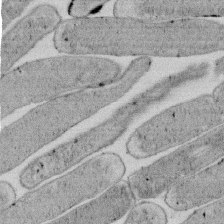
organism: E. coli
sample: Bacterial nucleoid